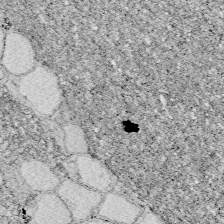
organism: Zebrafish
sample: Whole-Brain